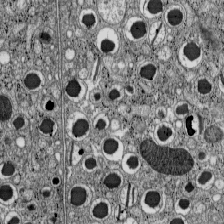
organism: C57BL Mouse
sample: Pancreatic islet